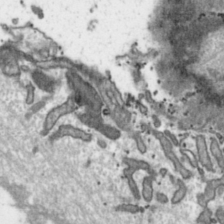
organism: Toxoplasma gondii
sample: Parasites in a vacuole inside a host cell